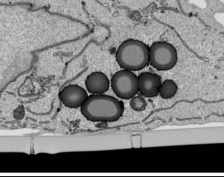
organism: Human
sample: Mitochondria in HCT116 cells